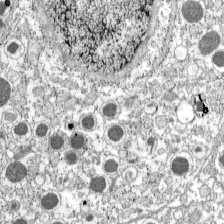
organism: C57BL Mouse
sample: Pancreatic islet